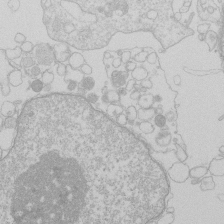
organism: Human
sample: Macrophage cells